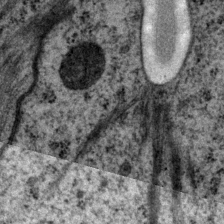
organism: P. pacificus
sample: Pharynx